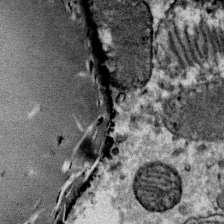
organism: Mouse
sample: Mouse Salivary gland